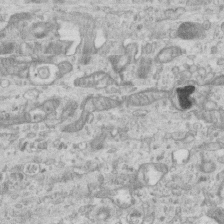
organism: Mouse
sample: Centriole in ependymal cells